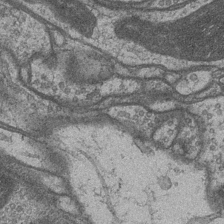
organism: Drosophila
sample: Optic medulla